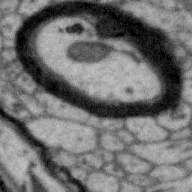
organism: Zebra finch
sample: Brain